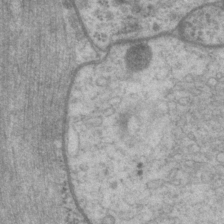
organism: P. pacificus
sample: Pharynx